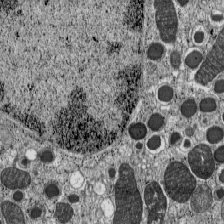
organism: C57BL Mouse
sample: Pancreatic islet